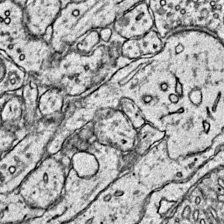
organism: Mouse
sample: Primary visual cortex